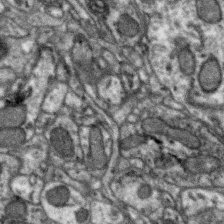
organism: Zebra finch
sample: Brain